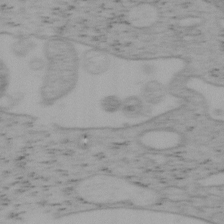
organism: Mouse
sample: OT-I killer T cells with ID8 ovarian cancer cells